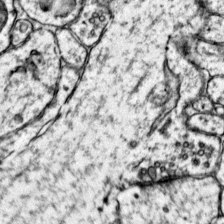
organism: Mouse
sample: Primary visual cortex